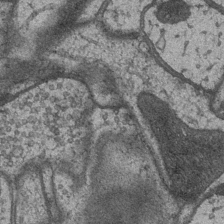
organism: Drosophila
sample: Optic medulla